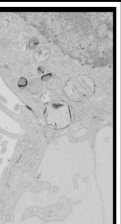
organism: Human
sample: Mitochondria in HCT116 cells